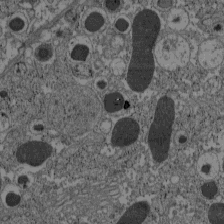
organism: C57BL Mouse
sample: Pancreatic islet